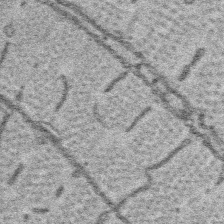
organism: Platynereis dumerilii